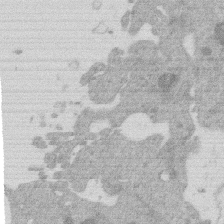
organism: Mouse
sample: Dividing mouse embryo 1 cell stage